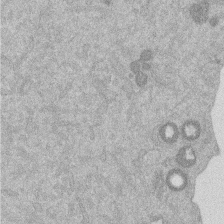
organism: Mouse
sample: Dividing mouse embryo 1 cell stage